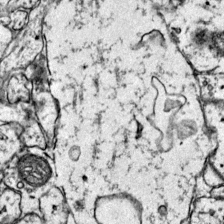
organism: Mouse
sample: Primary visual cortex